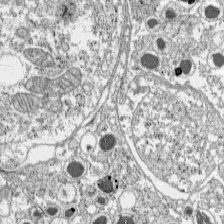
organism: C57BL Mouse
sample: Pancreatic islet